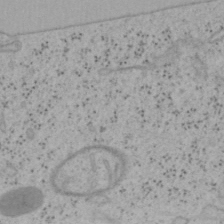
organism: Human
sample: HeLa cells